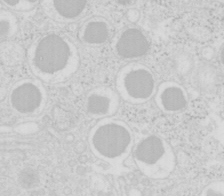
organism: Mouse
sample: Pancreas